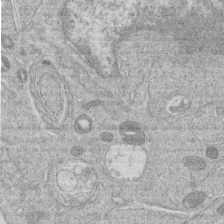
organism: Human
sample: Macrophage cells